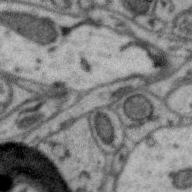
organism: Zebra finch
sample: Brain